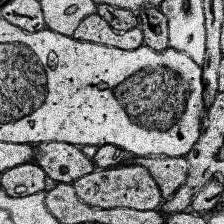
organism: Human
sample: Temporal Lobe